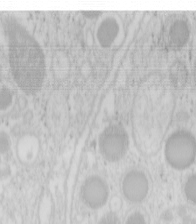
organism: Mouse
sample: Pancreas